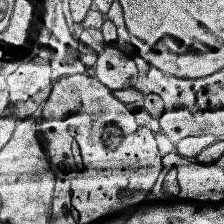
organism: Human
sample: Temporal Lobe